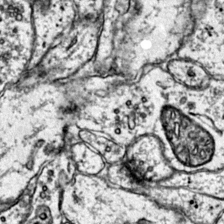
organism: Mouse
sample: Primary visual cortex